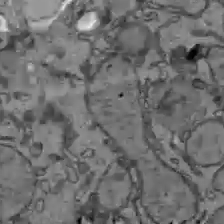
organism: C57BL Mouse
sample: Liver